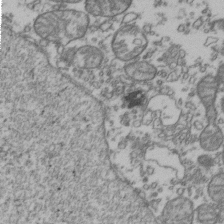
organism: Human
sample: Activated Jurkat CD4+ T cells